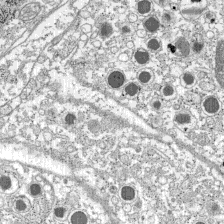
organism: C57BL Mouse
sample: Pancreatic islet